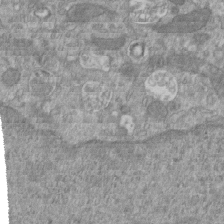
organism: Mouse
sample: ED-1 cell nuclei; centrioles